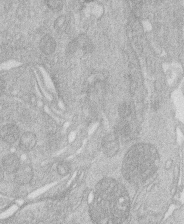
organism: Human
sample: Macrophage cells